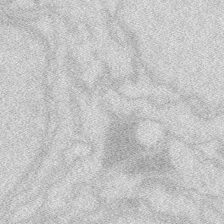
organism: Zebrafish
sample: Macrophage